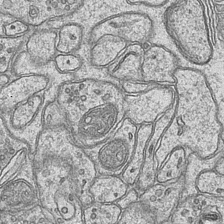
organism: Mouse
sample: CA1 Hippocampus